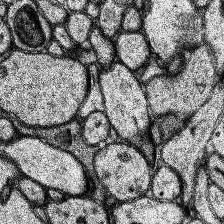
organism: Human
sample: Temporal Lobe